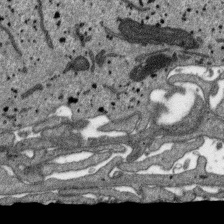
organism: Human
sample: Lung epithelial cells, uninfected (mock) control